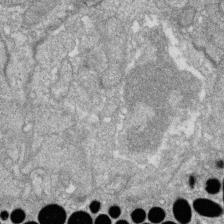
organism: Zebrafish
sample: Cilia; retinal pigment epithelium